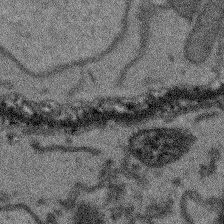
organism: Arabidopsis thaliana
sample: Root tip